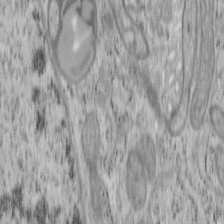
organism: Human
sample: HeLa cells